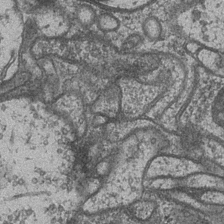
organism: Drosophila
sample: Optic medulla